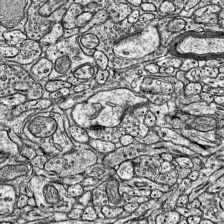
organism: Mouse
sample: Visual Cortex